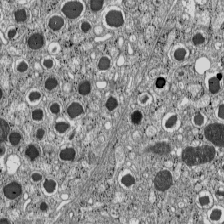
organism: C57BL Mouse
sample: Pancreatic islet